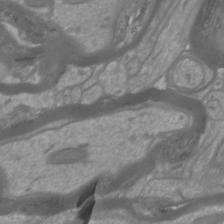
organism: Mouse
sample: Cortical neurons